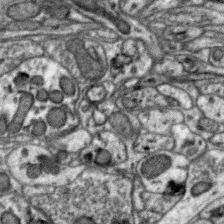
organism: Zebra finch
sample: Brain